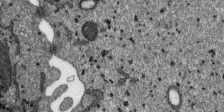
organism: Human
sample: Lung epithelial cells infected with SARS-CoV-2